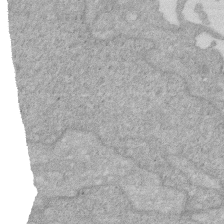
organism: Human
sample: HIV infected U937 cells